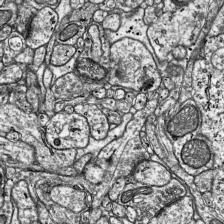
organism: Mouse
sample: Visual Cortex